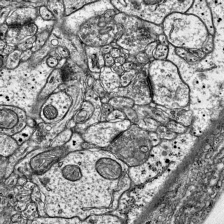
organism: Mouse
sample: Visual Cortex